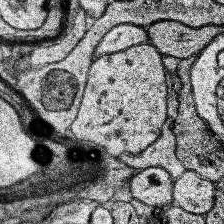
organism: Human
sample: Temporal Lobe